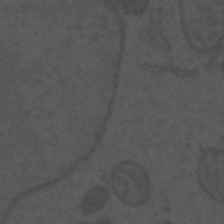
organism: Mouse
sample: Suprachiasmatic nucleus